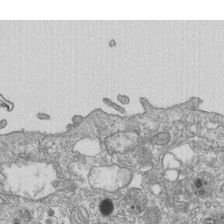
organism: Human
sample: HeLa cell HIV synapse